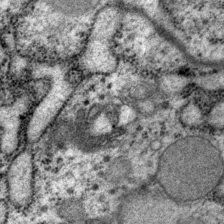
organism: P. pacificus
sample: Pharynx